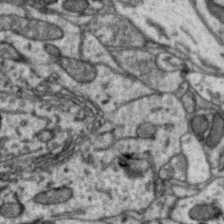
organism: Zebra finch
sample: Brain